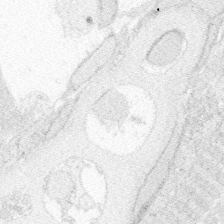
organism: Zebrafish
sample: Whole-Brain